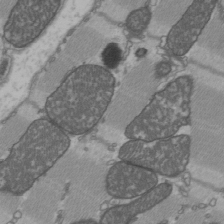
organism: C57BL Mouse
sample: Heart